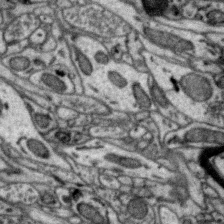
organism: Zebra finch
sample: Brain